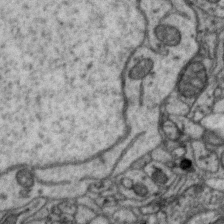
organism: Zebra finch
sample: Brain